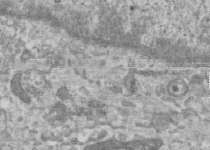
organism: Human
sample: Centriole in RPE cells